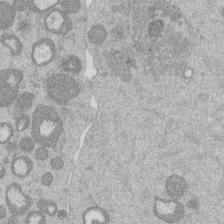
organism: Mouse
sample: Dividing mouse embryo 1 cell stage